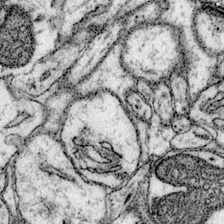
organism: Mouse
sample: Primary visual cortex